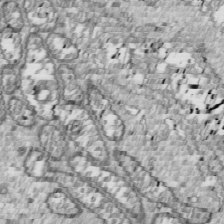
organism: Drosophila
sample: Cell division; meiosis; drosophila spermatocytes